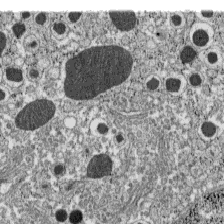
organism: C57BL Mouse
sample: Pancreatic islet